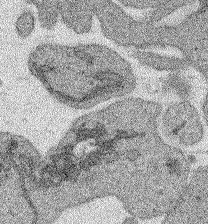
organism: Human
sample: HeLa cells